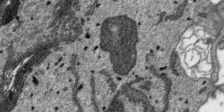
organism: Human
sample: Lung epithelial cells, uninfected (mock) control